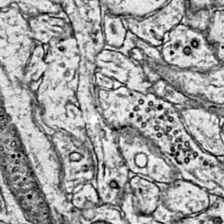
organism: Mouse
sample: Primary visual cortex